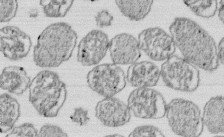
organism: E. coli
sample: Bacterial nucleoid